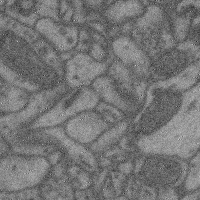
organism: Mouse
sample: Cerebral cortex